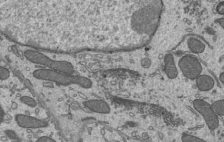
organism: Mouse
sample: Mouse epididymis efferent ductule cilia